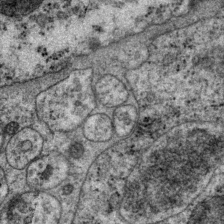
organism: P. pacificus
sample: Pharynx